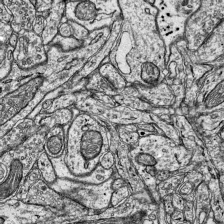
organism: Mouse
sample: Visual Cortex